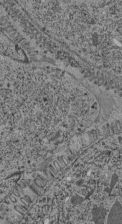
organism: C. elegans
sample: C. elegans pharynx